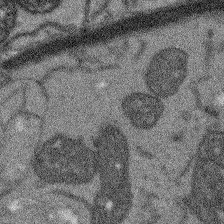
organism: Arabidopsis thaliana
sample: Root tip